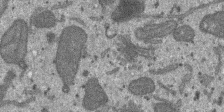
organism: Human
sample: Lung epithelial cells infected with SARS-CoV-2